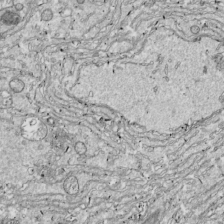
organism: Drosophila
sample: Cell division; meiosis; drosophila spermatocytes